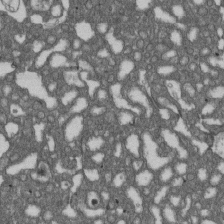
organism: Drosophila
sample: Nephrocyte